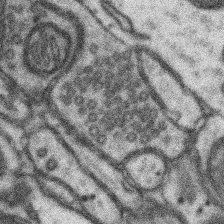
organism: Mouse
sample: Somatosensory cortex neuropil